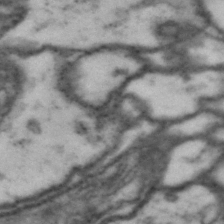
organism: Drosophila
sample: Brain